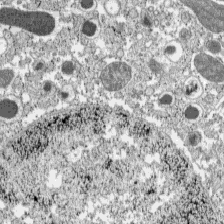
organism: C57BL Mouse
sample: Pancreatic islet